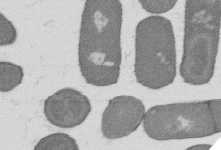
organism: B. subtilis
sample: Bacterial spore